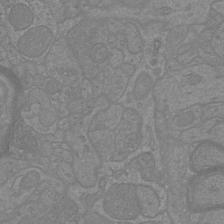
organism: Mouse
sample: Cortical neurons